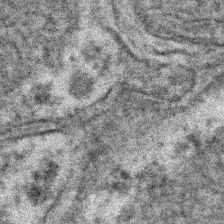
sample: Kidney